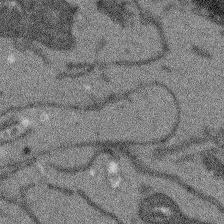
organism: Arabidopsis thaliana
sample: Root tip